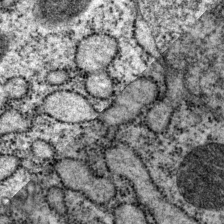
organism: P. pacificus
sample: Pharynx